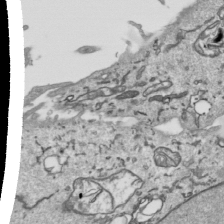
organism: Human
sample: Mitochondria in HCT116 cells